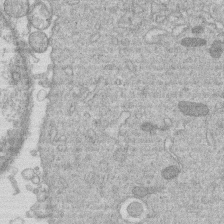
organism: Human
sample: Macrophage cells